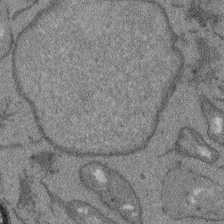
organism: Arabidopsis thaliana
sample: Root tip